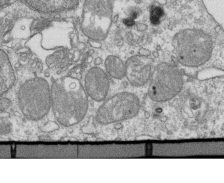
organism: Mouse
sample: Activated OT-1 CD8+ T cells